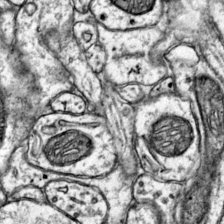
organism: Mouse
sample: Primary visual cortex